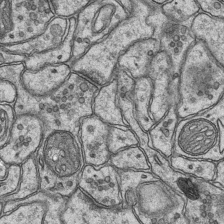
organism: Mouse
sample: CA1 Hippocampus